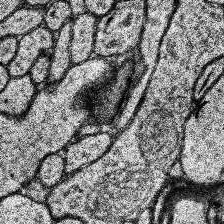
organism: Human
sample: Temporal Lobe